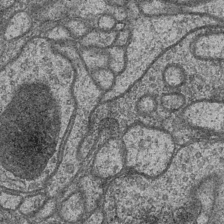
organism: Drosophila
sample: Optic medulla